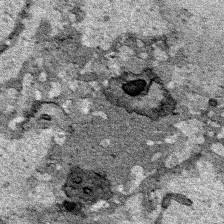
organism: Human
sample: Mitochondria in HCT116 cells